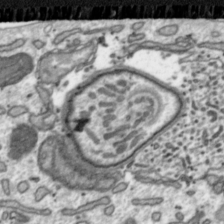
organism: Toxoplasma gondii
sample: Parasites in a vacuole inside a host cell